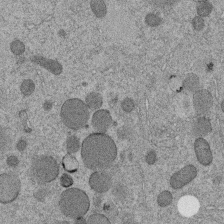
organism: C. elegans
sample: C. elegans embryo early stage